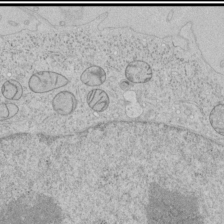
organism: Human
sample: Mitochondria in HCT116 cells